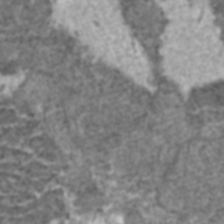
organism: C57BL Mouse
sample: Heart